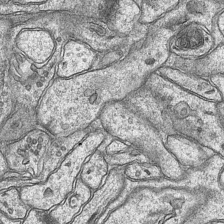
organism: Mouse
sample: CA1 Hippocampus